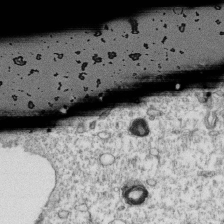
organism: Mouse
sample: Activated OT-1 CD8+ T cells